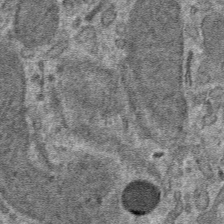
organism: Mouse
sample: Mouse hepatocytes